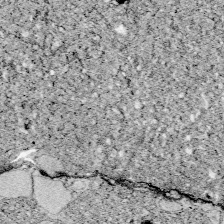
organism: Zebrafish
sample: Whole-Brain